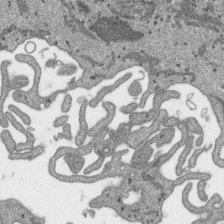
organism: Human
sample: Lung epithelial cells infected with SARS-CoV-2